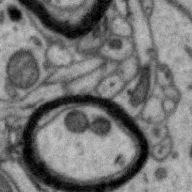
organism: Zebra finch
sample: Brain